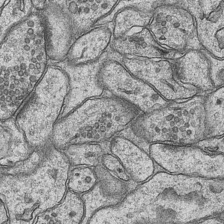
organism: Mouse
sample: CA1 Hippocampus